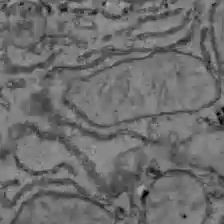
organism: C57BL Mouse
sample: Liver